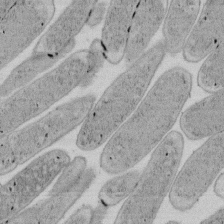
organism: E. coli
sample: Bacterial nucleoid